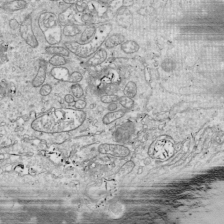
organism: Drosophila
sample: Cell division; meiosis; drosophila spermatocytes